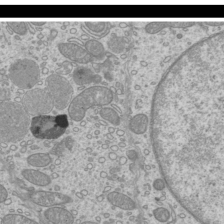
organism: Mouse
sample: Cilia; mouse epididymis